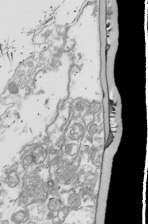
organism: Drosophila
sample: Cell division; meiosis; drosophila spermatocytes